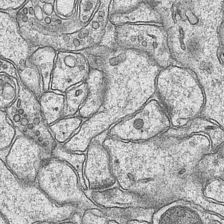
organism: Mouse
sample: CA1 Hippocampus